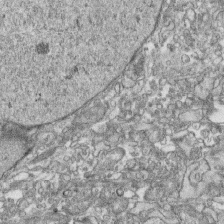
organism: Human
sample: CRL-1474